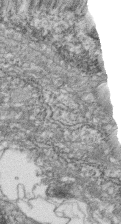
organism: Zebrafish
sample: Cilia; retinal pigment epithelium